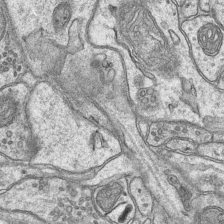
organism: Mouse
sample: CA1 Hippocampus